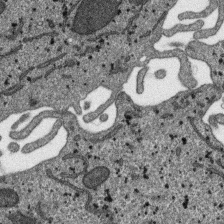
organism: Human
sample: Lung epithelial cells infected with SARS-CoV-2